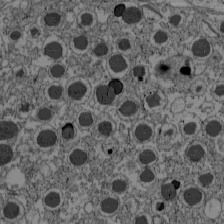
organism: C57BL Mouse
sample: Pancreatic islet